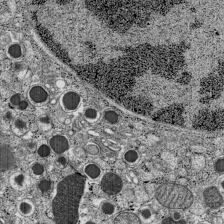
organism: C57BL Mouse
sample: Pancreatic islet